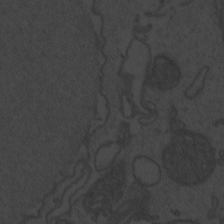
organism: Zebrafish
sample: Macrophage infected with Toxoplasma gondii